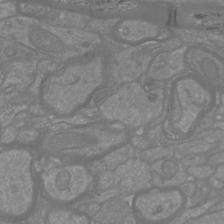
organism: Mouse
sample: Cortical neurons